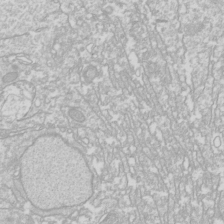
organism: Drosophila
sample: Cell division; meiosis; drosophila spermatocytes